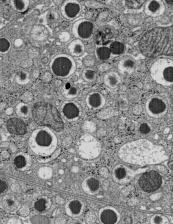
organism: C57BL Mouse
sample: Pancreatic islet